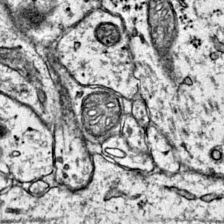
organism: Mouse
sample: Primary visual cortex